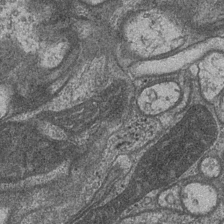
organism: Drosophila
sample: Optic medulla